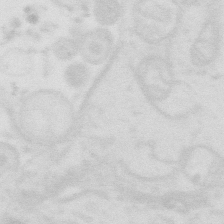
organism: Human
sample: HeLa cells